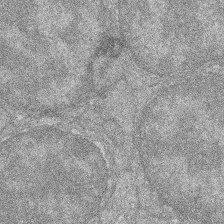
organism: Zebrafish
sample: Cilia; retinal pigment epithelium